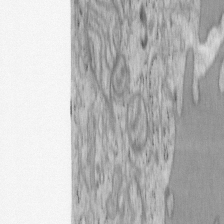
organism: Human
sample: HeLa cells